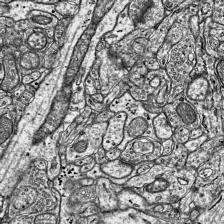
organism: Mouse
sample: Visual Cortex